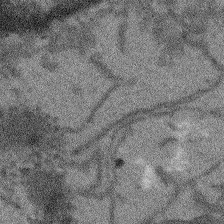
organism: Arabidopsis thaliana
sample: Root tip